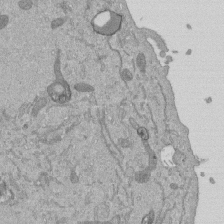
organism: Mouse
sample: ED-1 cell nuclei; centrioles